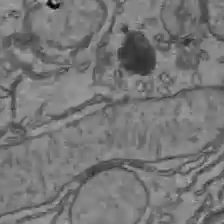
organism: C57BL Mouse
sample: Liver